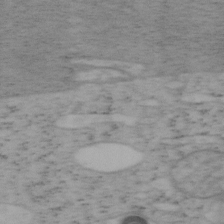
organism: Mouse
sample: OT-I killer T cells with ID8 ovarian cancer cells